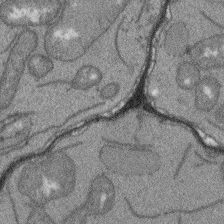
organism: Arabidopsis thaliana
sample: Root tip